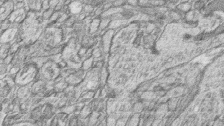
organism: Zebrafish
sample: synaptic ribbons in rod cells and cone cells